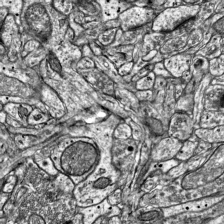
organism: Mouse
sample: Visual Cortex